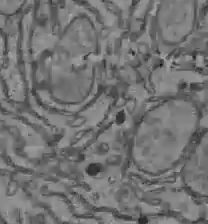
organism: C57BL Mouse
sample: Liver